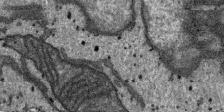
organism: Human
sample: Lung epithelial cells, uninfected (mock) control